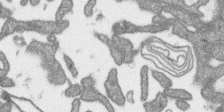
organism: Human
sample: Lung epithelial cells infected with SARS-CoV-2